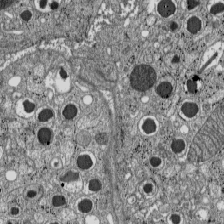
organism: C57BL Mouse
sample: Pancreatic islet